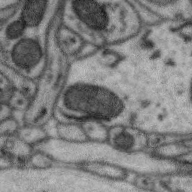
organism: Zebra finch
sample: Brain